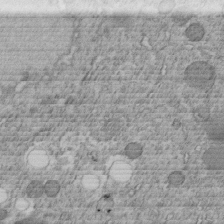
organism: C. elegans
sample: C. elegans embryo early stage